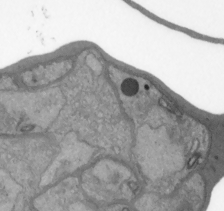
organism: Plasmodium falciparum